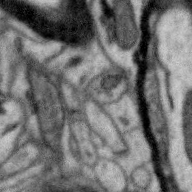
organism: Zebra finch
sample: Brain